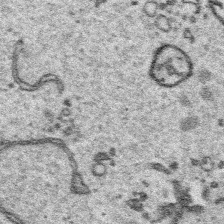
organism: Platynereis dumerilii